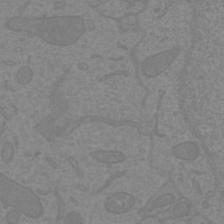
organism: Mouse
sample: Cortical neurons